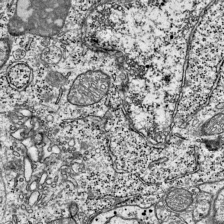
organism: Mouse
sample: Visual Cortex